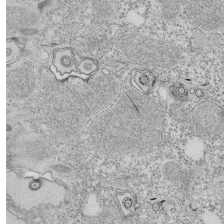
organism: Tetrahymena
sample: Cilia in tetrahymena